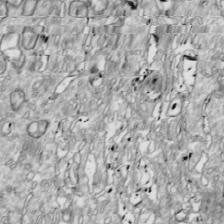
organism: Drosophila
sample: Cell division; meiosis; drosophila spermatocytes